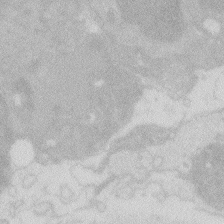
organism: Zebrafish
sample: Macrophage